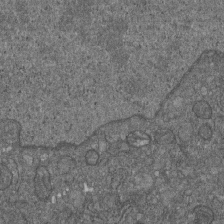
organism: Drosophila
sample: Nephrocyte